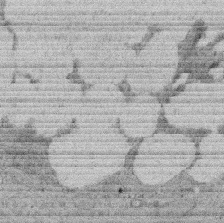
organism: Rat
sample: Salivary granule